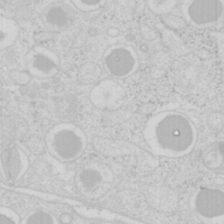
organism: Mouse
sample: Pancreas